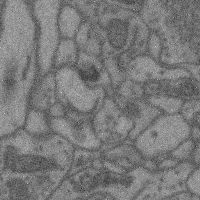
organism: Mouse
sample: Cerebral cortex